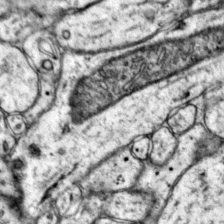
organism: Mouse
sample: Primary visual cortex